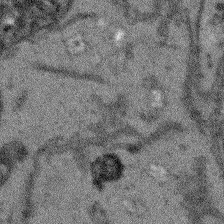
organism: Arabidopsis thaliana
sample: Root tip